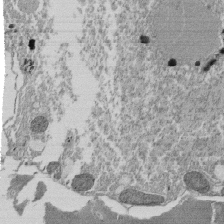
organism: Tetrahymena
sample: Cilia in tetrahymena